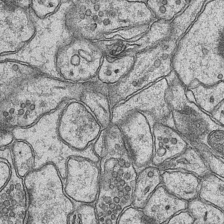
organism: Mouse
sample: CA1 Hippocampus